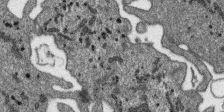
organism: Human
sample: Lung epithelial cells infected with SARS-CoV-2